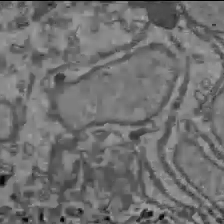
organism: C57BL Mouse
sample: Liver